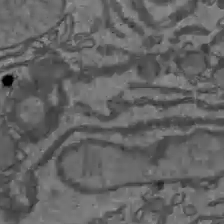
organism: C57BL Mouse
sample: Liver